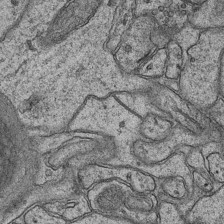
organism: Mouse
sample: CA1 Hippocampus